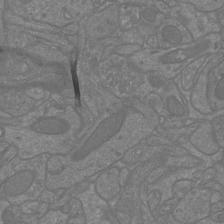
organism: Mouse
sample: Cortical neurons